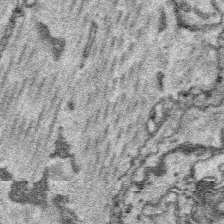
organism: Platynereis dumerilii